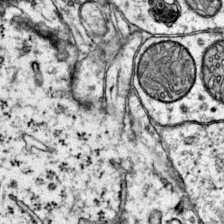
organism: Mouse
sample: Primary visual cortex